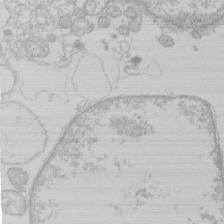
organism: Human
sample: Macrophage cells